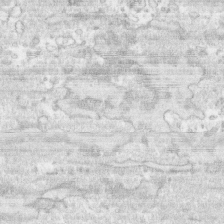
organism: Human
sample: CRL-1474